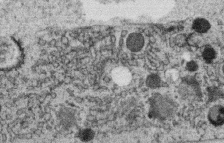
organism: C. elegans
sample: C. elegans oocyte; sperm cells